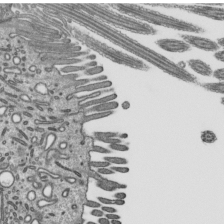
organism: Mouse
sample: Mouse epididymis efferent ductule cilia